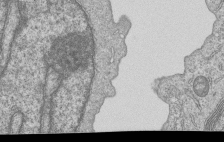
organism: Human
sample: MDA-MB-231 cells